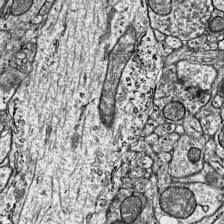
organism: Mouse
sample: Visual Cortex